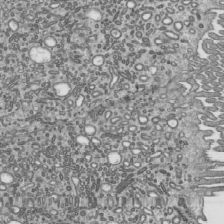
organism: Mouse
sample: Mouse epididymis efferent ductule cilia